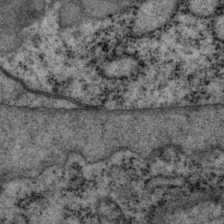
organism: P. pacificus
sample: Pharynx